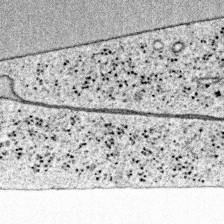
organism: Human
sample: HeLa cells